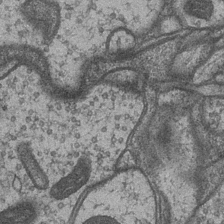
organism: Drosophila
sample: Optic medulla